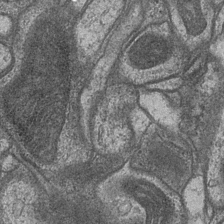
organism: Drosophila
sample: Optic medulla